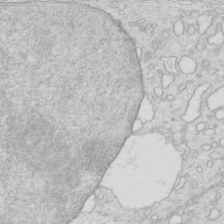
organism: Mouse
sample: Multiciliated cells